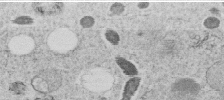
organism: C. elegans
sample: C. elegans embryo early stage